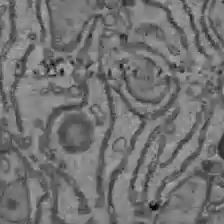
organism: C57BL Mouse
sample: Liver